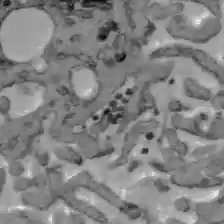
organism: C57BL Mouse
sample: Liver